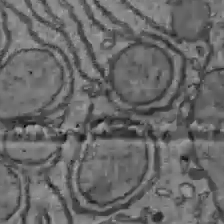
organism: C57BL Mouse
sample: Liver